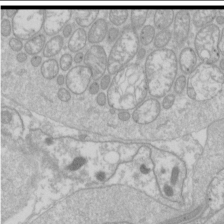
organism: Drosophila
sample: Cell division; meiosis; drosophila spermatocytes